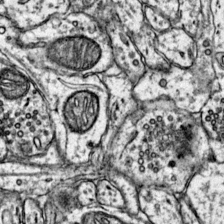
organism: Mouse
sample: Primary visual cortex